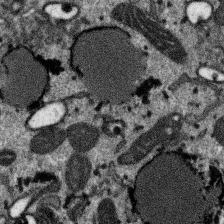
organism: Human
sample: Lung epithelial cells infected with SARS-CoV-2